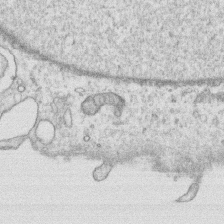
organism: Human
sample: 1205lu cells